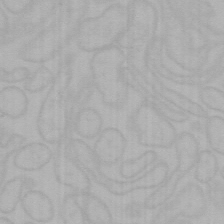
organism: Mouse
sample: Choroid plexus